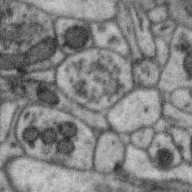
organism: Zebra finch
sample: Brain